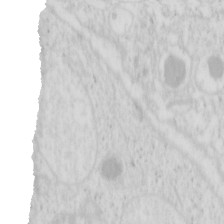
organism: Mouse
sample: Pancreas